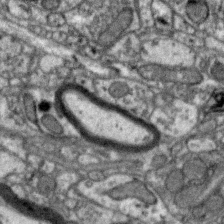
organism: Zebra finch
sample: Brain